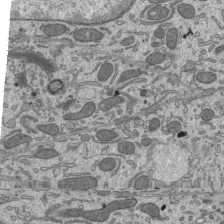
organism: Mouse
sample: Mouse epididymis efferent ductule cilia